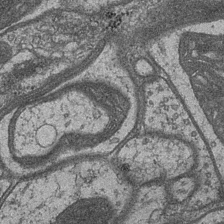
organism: Drosophila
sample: Optic medulla